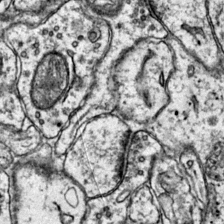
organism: Mouse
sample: Primary visual cortex